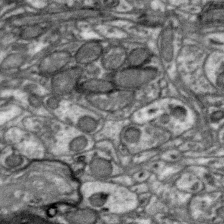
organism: Zebra finch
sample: Brain